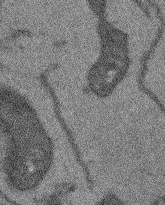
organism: Arabidopsis thaliana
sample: Root tip